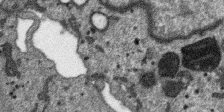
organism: Human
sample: Lung epithelial cells infected with SARS-CoV-2